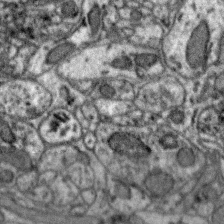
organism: Zebra finch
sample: Brain